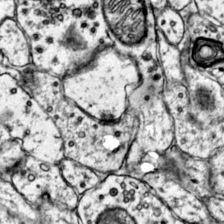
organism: Mouse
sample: Primary visual cortex